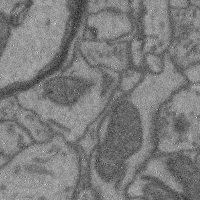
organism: Mouse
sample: Cerebral cortex